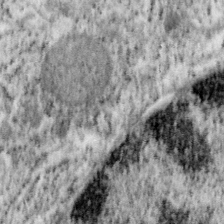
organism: Mouse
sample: OT-I killer T cells with ID8 ovarian cancer cells